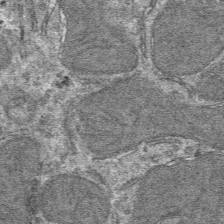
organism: Mouse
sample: Mouse hepatocytes